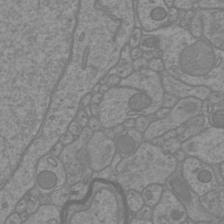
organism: Mouse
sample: Cortical neurons